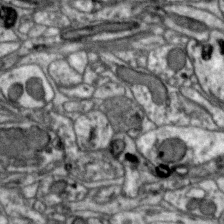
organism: Zebra finch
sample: Brain